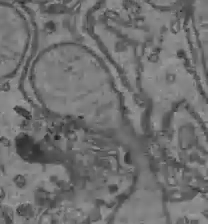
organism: C57BL Mouse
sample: Liver